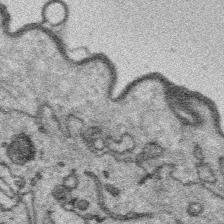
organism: Platynereis dumerilii